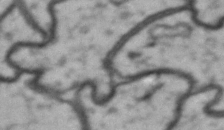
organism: Drosophila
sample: Brain